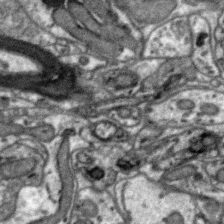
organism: Zebra finch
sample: Brain